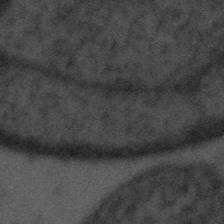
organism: Tuwongella immobilis